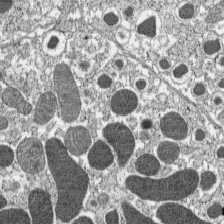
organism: C57BL Mouse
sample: Pancreatic islet